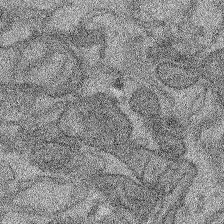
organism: Human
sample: HeLa cells